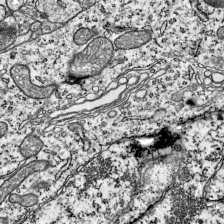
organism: Mouse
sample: Visual Cortex